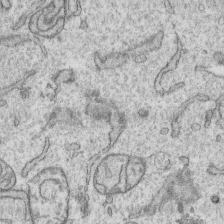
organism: Human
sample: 1205lu cells